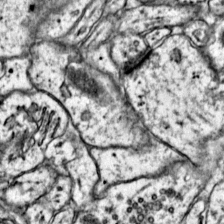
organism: Mouse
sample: Primary visual cortex